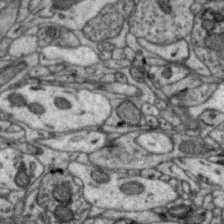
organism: Zebra finch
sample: Brain